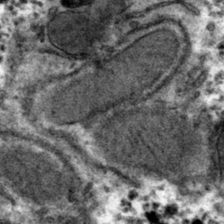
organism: Mouse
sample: Mouse hepatocytes